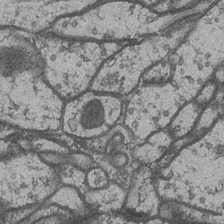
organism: Drosophila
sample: Optic medulla